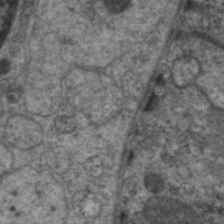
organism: C. elegans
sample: Pharynx